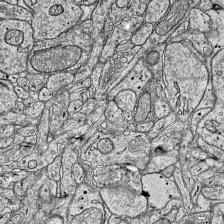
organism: Mouse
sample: Visual Cortex